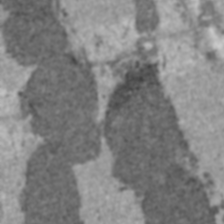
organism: C57BL Mouse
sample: Heart